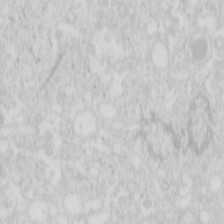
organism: Mouse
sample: Pancreas